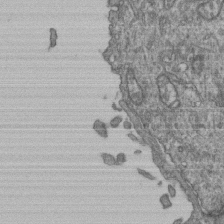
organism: Human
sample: Retinal organoid Rod and Cone cells